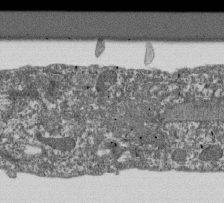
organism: Dictyostelium discoideum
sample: Dictyostelium multivesicular bodies